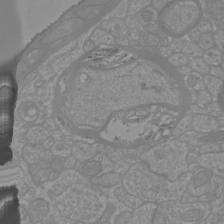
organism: Mouse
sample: Cortical neurons